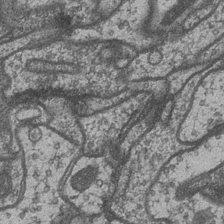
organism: Drosophila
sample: Optic medulla